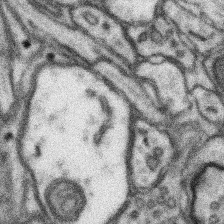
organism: Mouse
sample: Somatosensory cortex neuropil